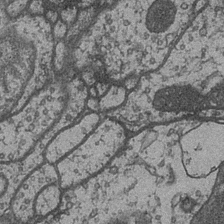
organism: Drosophila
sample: Optic medulla